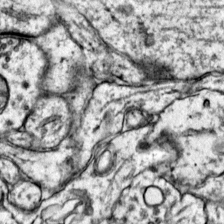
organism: Mouse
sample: Primary visual cortex